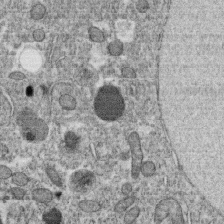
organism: C. elegans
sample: C. elegans oocyte; sperm cells